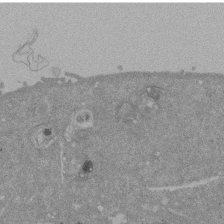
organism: Mouse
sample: ED-1 cell nuclei; centrioles